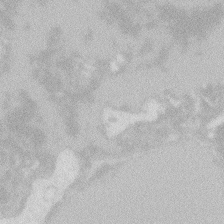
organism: Zebrafish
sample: Macrophage